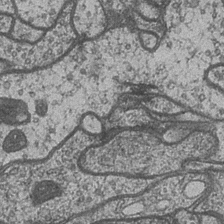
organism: Drosophila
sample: Optic medulla